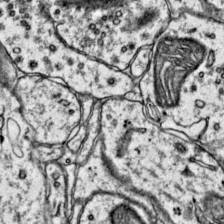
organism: Mouse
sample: Primary visual cortex